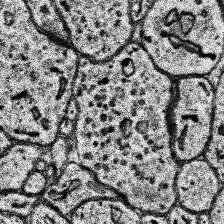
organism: Human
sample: Temporal Lobe